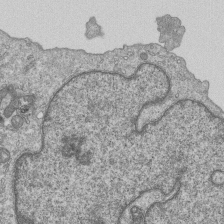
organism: Human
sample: MDA-MB-231 cells